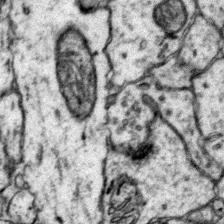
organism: Mouse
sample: Primary visual cortex